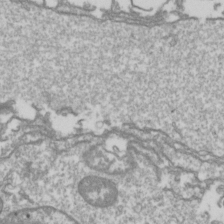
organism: Drosophila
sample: Cell division; meiosis; drosophila spermatocytes